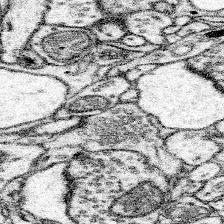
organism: Mouse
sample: Somatosensory cortex neuropil